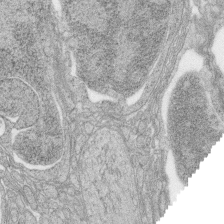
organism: Zebrafish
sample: synaptic ribbons in rod cells and cone cells